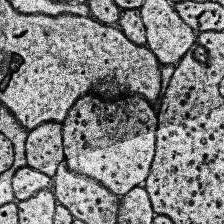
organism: Human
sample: Temporal Lobe